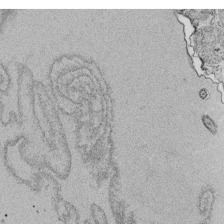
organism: Tetrahymena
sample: Cilia in tetrahymena